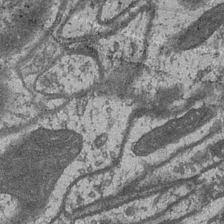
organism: Drosophila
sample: Optic medulla